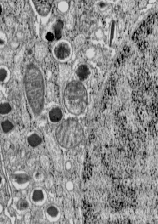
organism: C57BL Mouse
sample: Pancreatic islet